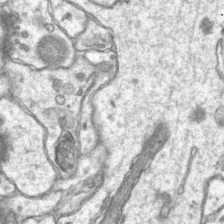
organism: Mouse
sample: CA1 Hippocampus